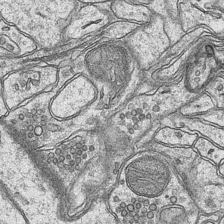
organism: Mouse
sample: CA1 Hippocampus